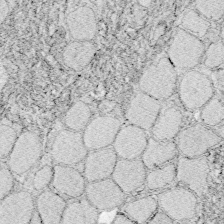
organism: Zebrafish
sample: Whole-Brain